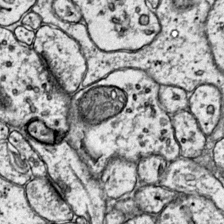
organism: Mouse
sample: Primary visual cortex